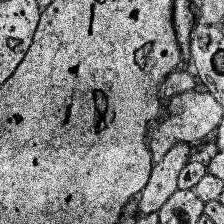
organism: Human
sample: Temporal Lobe